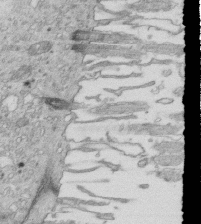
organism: Mouse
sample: Multiciliated cells